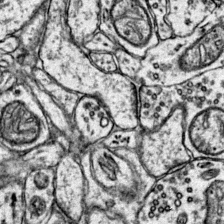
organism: Mouse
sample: Primary visual cortex